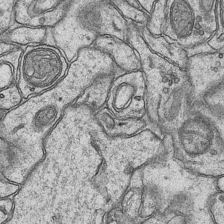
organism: Mouse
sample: CA1 Hippocampus